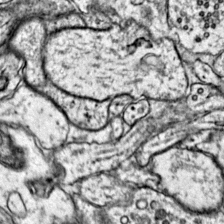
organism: Mouse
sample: Primary visual cortex